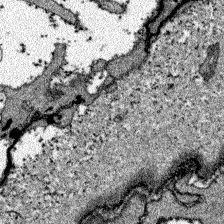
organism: Zebrafish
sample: Larval olfactory bulb